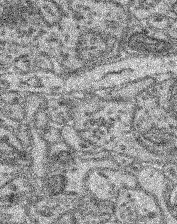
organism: Mouse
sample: Retina